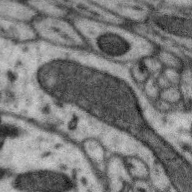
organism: Zebra finch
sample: Brain